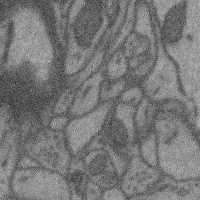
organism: Mouse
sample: Cerebral cortex